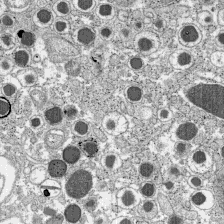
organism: C57BL Mouse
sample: Pancreatic islet